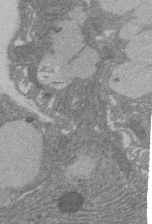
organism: Rat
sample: Salivary granule